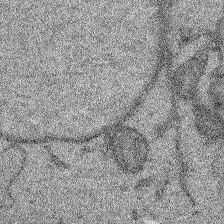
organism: Human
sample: HeLa cells